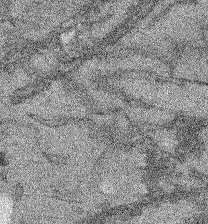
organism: Human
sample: HeLa cells